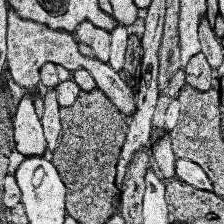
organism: Human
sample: Temporal Lobe